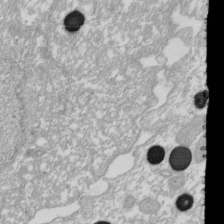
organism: Xenopus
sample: Cilia; centrioles in frog embryo cells